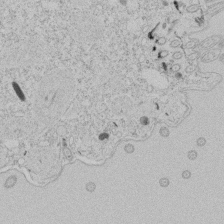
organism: Tetrahymena